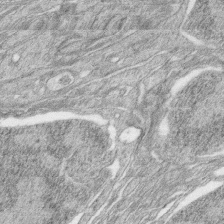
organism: Zebrafish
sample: synaptic ribbons in rod cells and cone cells